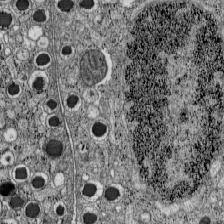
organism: C57BL Mouse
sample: Pancreatic islet